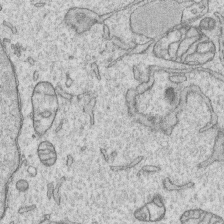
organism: Human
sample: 1205lu cells